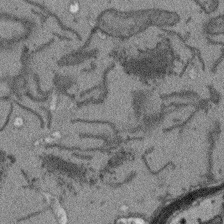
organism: Arabidopsis thaliana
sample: Root tip